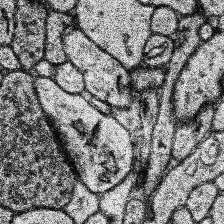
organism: Human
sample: Temporal Lobe